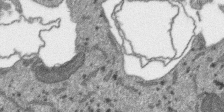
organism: Human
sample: Lung epithelial cells infected with SARS-CoV-2